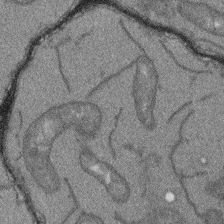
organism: Arabidopsis thaliana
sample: Root tip